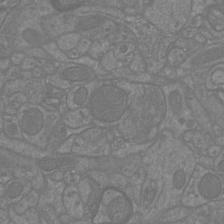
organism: Mouse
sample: Cortical neurons